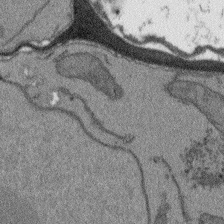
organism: Arabidopsis thaliana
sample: Root tip